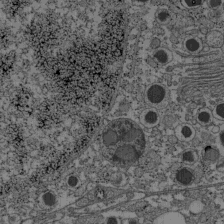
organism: C57BL Mouse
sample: Pancreatic islet